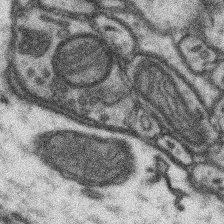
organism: Mouse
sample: Somatosensory cortex neuropil